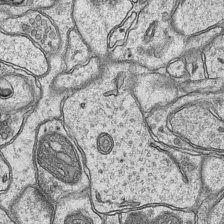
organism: Mouse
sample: CA1 Hippocampus